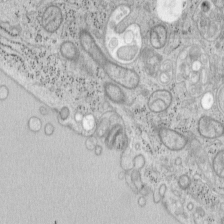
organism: Mouse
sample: OT-I killer T cells with ID8 ovarian cancer cells